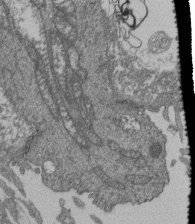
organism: Human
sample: Retinal organoid Rod and Cone cells